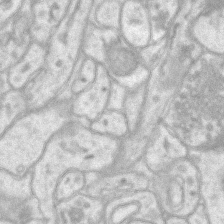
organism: Mouse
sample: CA1 Hippocampus